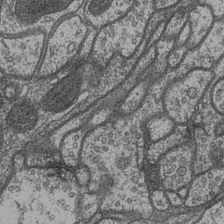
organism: Drosophila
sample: Optic medulla